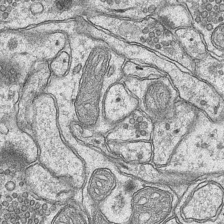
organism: Mouse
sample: CA1 Hippocampus